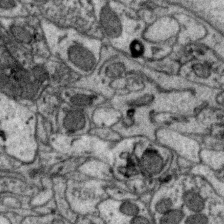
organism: Zebra finch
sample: Brain